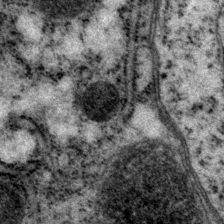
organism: P. pacificus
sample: Pharynx